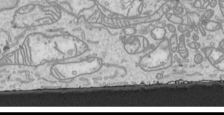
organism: Human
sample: Mitochondria in HCT116 cells